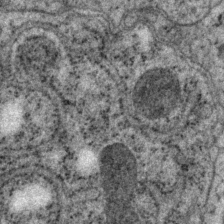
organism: P. pacificus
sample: Pharynx